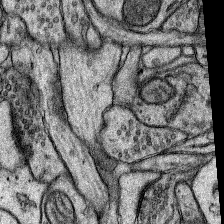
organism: Rat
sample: Hippocampus